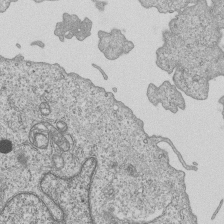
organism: Human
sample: MDA-MB-231 cells